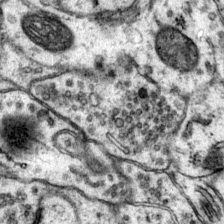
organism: Mouse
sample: Primary visual cortex